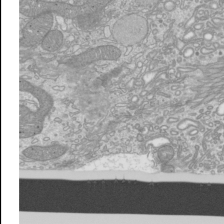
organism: Mouse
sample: Cilia; mouse epididymis